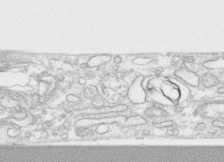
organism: Human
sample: CRL-1474